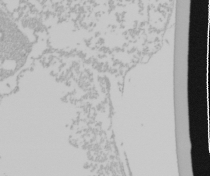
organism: Mouse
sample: Cancer cell death in ED-1 cells